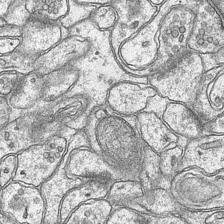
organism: Mouse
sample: CA1 Hippocampus